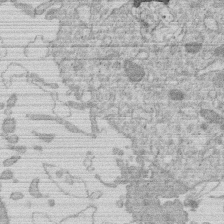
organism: Human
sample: Macrophage cells